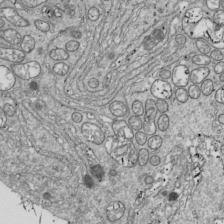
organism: Drosophila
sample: Cell division; meiosis; drosophila spermatocytes